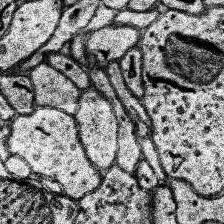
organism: Human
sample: Temporal Lobe